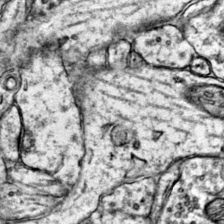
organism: Mouse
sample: Primary visual cortex